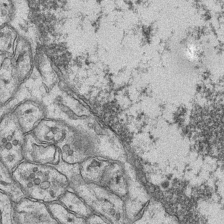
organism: Mouse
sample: CA1 Hippocampus